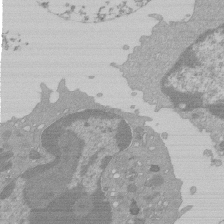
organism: Mouse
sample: Activated Pmel transgenic CD8+ T Cells